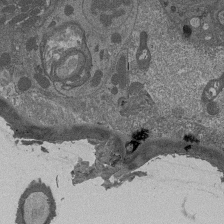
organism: Drosophila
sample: Antenna